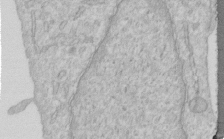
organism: Human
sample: Centriole in RPE cells